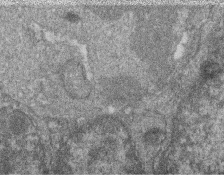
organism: Zebrafish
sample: Cilia; retinal pigment epithelium